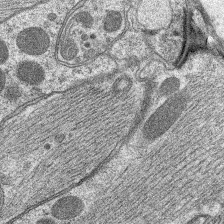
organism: C. elegans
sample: Pharynx